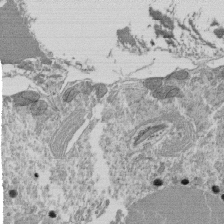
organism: Tetrahymena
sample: Cilia in tetrahymena